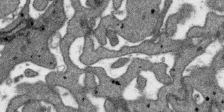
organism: Human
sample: Lung epithelial cells, uninfected (mock) control